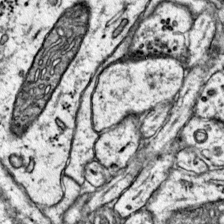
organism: Mouse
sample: Primary visual cortex